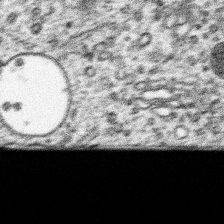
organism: Human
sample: HeLa cells